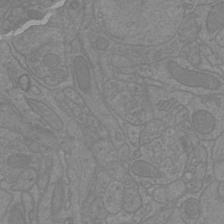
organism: Mouse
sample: Cortical neurons